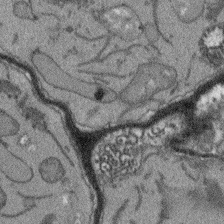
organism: Arabidopsis thaliana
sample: Root tip